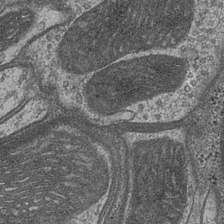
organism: Drosophila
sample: Optic medulla